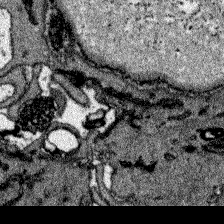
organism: Zebrafish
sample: Larval olfactory bulb